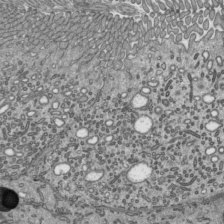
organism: Mouse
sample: Mouse epididymis efferent ductule cilia